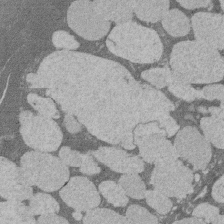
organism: Rat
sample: Salivary granule